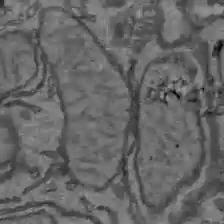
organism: C57BL Mouse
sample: Liver